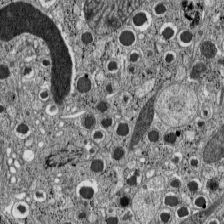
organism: C57BL Mouse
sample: Pancreatic islet